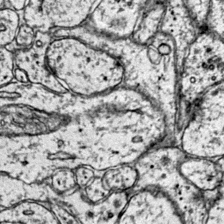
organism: Mouse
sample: Primary visual cortex